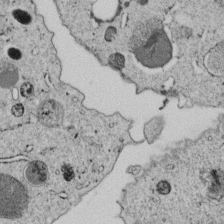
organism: C. elegans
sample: C. elegans embryo early stage